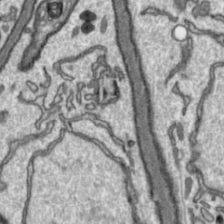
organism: Toxoplasma gondii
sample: Parasites in a vacuole inside a host cell